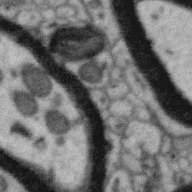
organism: Zebra finch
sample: Brain